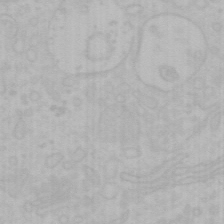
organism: Mouse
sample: Choroid plexus